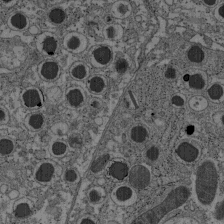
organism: C57BL Mouse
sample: Pancreatic islet